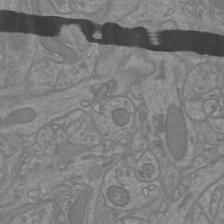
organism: Mouse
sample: Cortical neurons